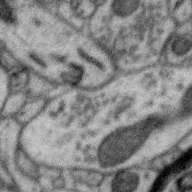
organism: Zebra finch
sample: Brain